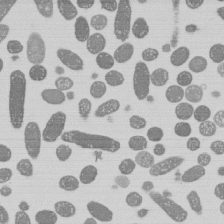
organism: E. coli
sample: Bacterial nucleoid